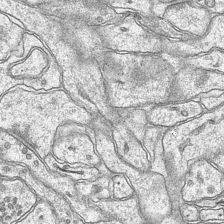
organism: Mouse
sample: CA1 Hippocampus